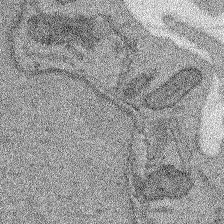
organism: Human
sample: HeLa cells